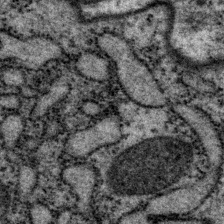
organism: P. pacificus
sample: Pharynx